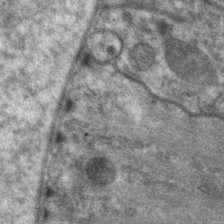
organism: C. elegans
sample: Pharynx